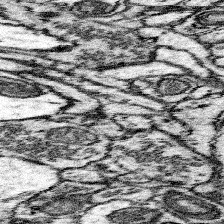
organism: Mouse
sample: Somatosensory cortex neuropil